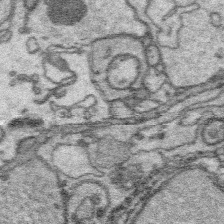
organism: Platynereis dumerilii